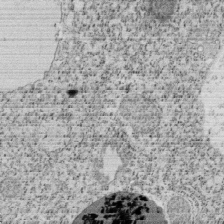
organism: Tetrahymena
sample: Cilia in tetrahymena